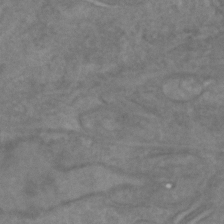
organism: C. elegans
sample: C. elegans embryo